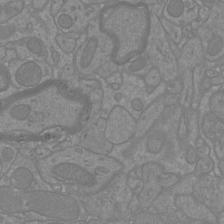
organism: Mouse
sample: Cortical neurons